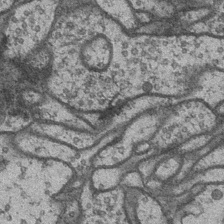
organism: Drosophila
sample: Optic medulla